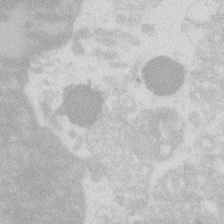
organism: Zebrafish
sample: Macrophage